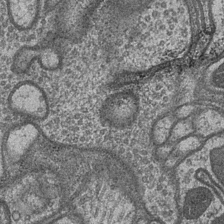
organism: Drosophila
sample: Optic medulla